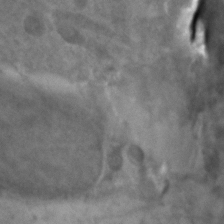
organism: Zebrafish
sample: Zebrafish embryo